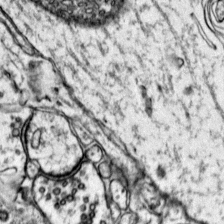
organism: Mouse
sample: Primary visual cortex